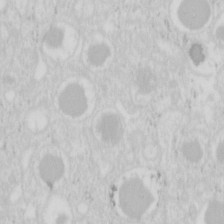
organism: Mouse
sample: Pancreas